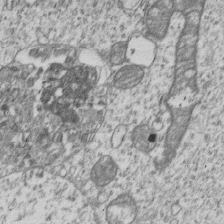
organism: Human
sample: MDA-MB-231 cells